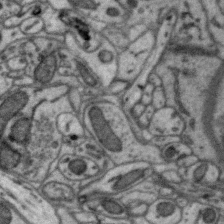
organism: Zebra finch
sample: Brain